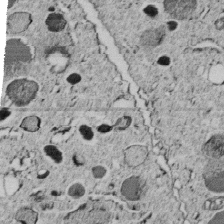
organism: C. elegans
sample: C. elegans embryo early stage